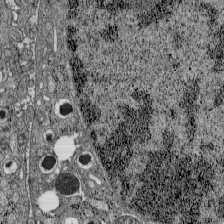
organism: C57BL Mouse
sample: Pancreatic islet